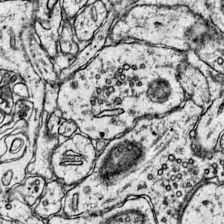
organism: Mouse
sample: Primary visual cortex